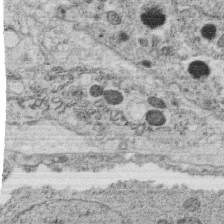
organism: C. elegans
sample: C. elegans oocyte; sperm cells